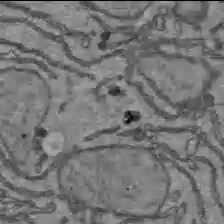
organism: C57BL Mouse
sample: Liver